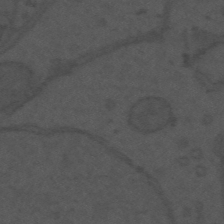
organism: Mouse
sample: Suprachiasmatic nucleus